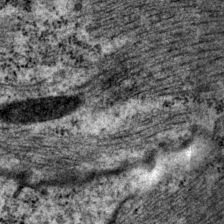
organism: P. pacificus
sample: Pharynx